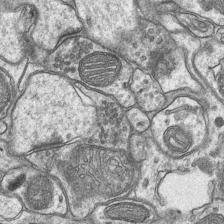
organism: Mouse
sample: CA1 Hippocampus